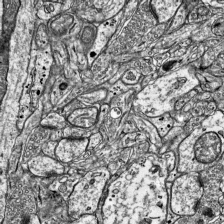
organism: Mouse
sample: Visual Cortex